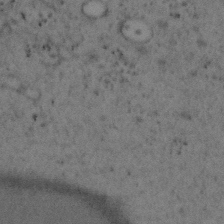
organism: Human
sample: HeLa cells